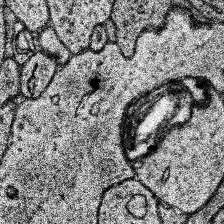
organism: Human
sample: Temporal Lobe